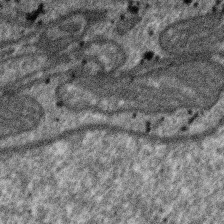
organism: Human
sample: Lung epithelial cells infected with SARS-CoV-2